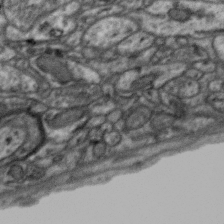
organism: Zebra finch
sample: Brain